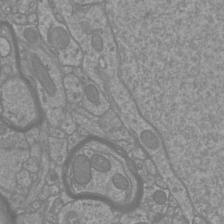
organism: Mouse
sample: Cortical neurons